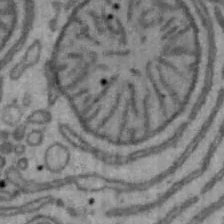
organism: Mouse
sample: Liver